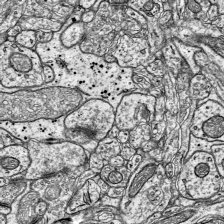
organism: Mouse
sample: Visual Cortex